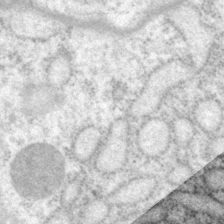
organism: P. pacificus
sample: Pharynx